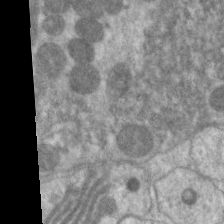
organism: C. elegans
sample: Pharynx